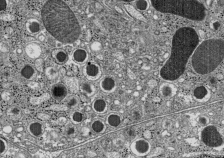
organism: C57BL Mouse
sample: Pancreatic islet